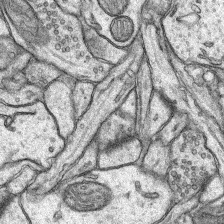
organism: Rat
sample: Hippocampus